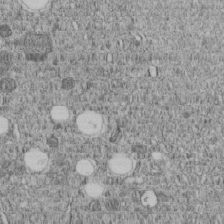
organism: C. elegans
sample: C. elegans embryo early stage